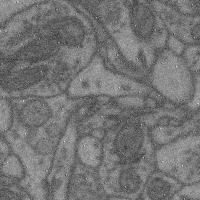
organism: Mouse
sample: Cerebral cortex